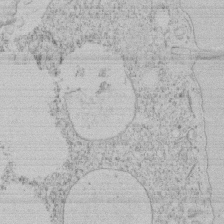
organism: Tetrahymena